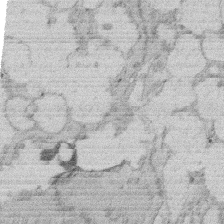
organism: Rat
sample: Salivary granule